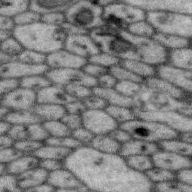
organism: Zebra finch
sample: Brain